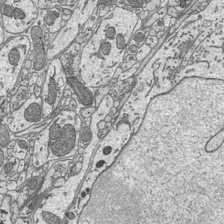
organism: Mouse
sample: Suprachiasmatic nucleus